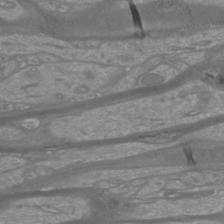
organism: Mouse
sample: Cortical neurons